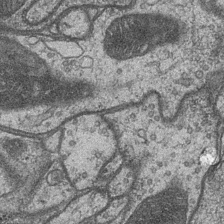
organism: Drosophila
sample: Optic medulla